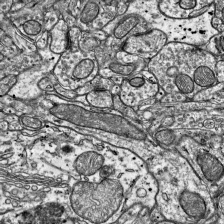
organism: Mouse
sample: Visual Cortex